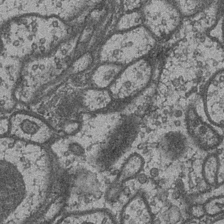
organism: Drosophila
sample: Optic medulla